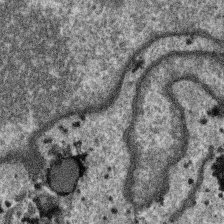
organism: Human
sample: Lung epithelial cells infected with SARS-CoV-2